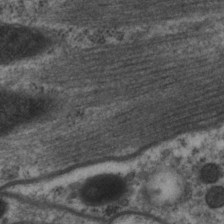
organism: P. pacificus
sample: Pharynx